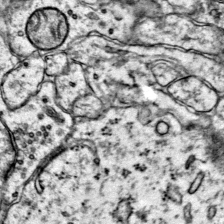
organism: Mouse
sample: Primary visual cortex